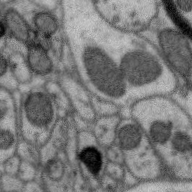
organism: Zebra finch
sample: Brain